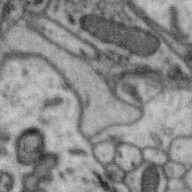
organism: Zebra finch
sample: Brain